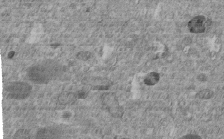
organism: C. elegans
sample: C. elegans embryo early stage